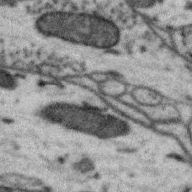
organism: Zebra finch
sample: Brain